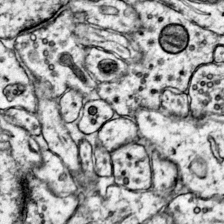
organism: Mouse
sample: Primary visual cortex